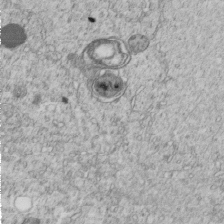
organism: C. elegans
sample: C. elegans embryo early stage